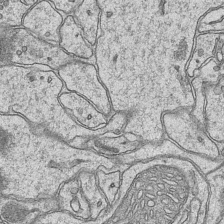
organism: Mouse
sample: CA1 Hippocampus